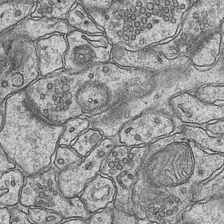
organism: Mouse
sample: CA1 Hippocampus